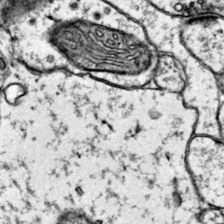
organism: Mouse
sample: Primary visual cortex